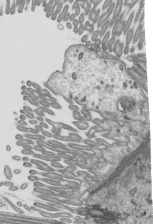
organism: Mouse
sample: Mouse epididymis efferent ductule cilia